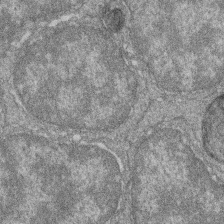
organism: Zebrafish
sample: Cilia; retinal pigment epithelium